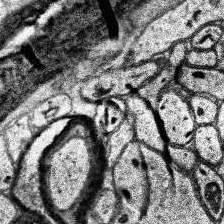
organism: Human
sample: Temporal Lobe